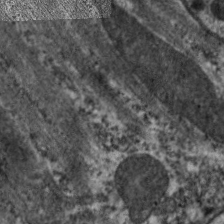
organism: C. elegans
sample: Pharynx